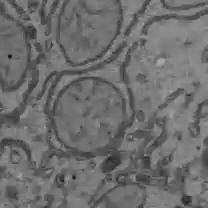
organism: C57BL Mouse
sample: Liver